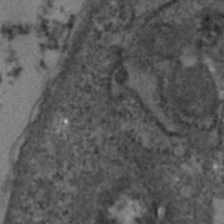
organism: Human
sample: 1205lu cells